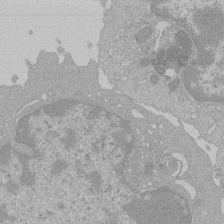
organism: Mouse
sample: Activated Pmel transgenic CD8+ T Cells